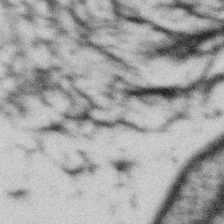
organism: Gemmata obscuriglobus